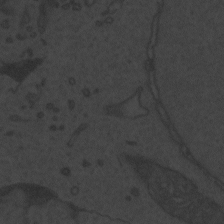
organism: Zebrafish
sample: Macrophage infected with Toxoplasma gondii